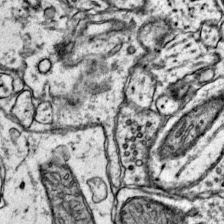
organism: Mouse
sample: Primary visual cortex